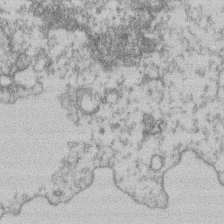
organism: Mouse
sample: T cell stromal cell synapse